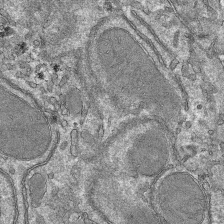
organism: Mouse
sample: Mouse hepatocytes